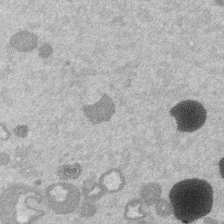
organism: Mouse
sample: Dividing mouse embryo 1 cell stage